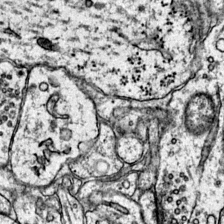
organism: Mouse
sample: Primary visual cortex